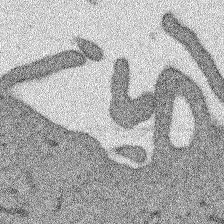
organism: Human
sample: HeLa cells